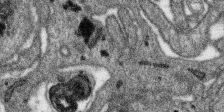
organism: Human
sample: Lung epithelial cells infected with SARS-CoV-2